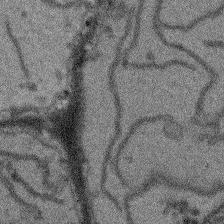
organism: Arabidopsis thaliana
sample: Root tip